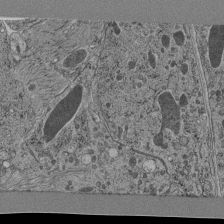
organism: C. elegans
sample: C. elegans pharynx